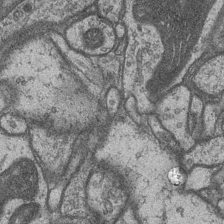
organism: Drosophila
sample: Optic medulla